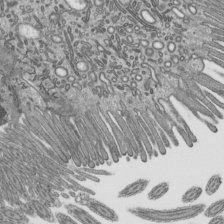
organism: Mouse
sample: Mouse epididymis efferent ductule cilia